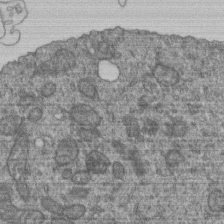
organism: Human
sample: Retinal organoid Rod and Cone cells